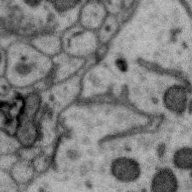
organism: Zebra finch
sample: Brain